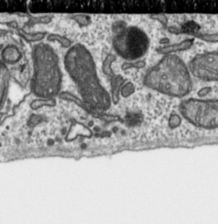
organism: Toxoplasma gondii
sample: Parasites in a vacuole inside a host cell